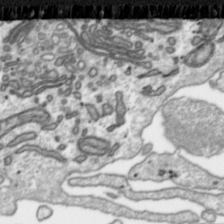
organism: Toxoplasma gondii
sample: Parasites in a vacuole inside a host cell